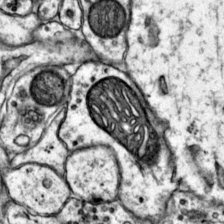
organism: Mouse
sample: Primary visual cortex